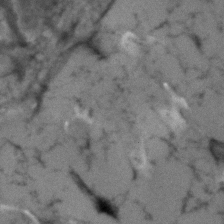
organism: Human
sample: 1205lu cells